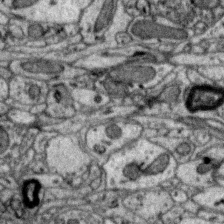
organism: Zebra finch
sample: Brain